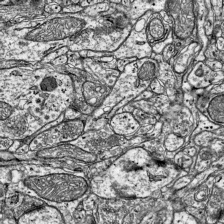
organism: Mouse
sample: Visual Cortex